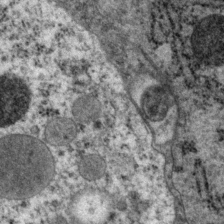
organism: P. pacificus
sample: Pharynx